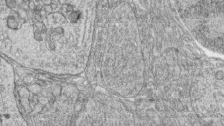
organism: Zebrafish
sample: synaptic ribbons in rod cells and cone cells